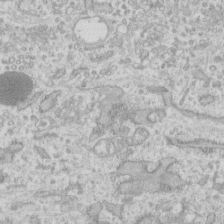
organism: Human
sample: Fibroblast cells